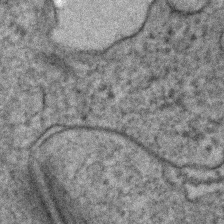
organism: Human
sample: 1205lu cells